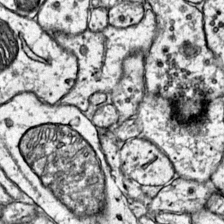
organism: Mouse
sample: Primary visual cortex